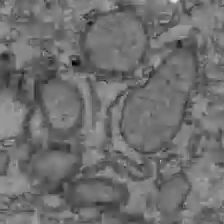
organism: C57BL Mouse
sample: Liver